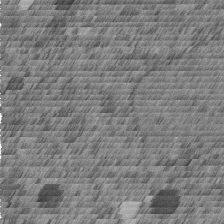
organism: C. elegans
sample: C. elegans embryo early stage